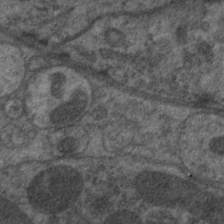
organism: C. elegans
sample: Pharynx